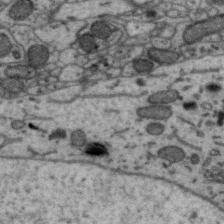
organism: Zebra finch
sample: Brain